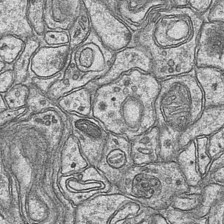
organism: Mouse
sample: CA1 Hippocampus